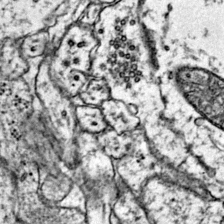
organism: Mouse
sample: Primary visual cortex